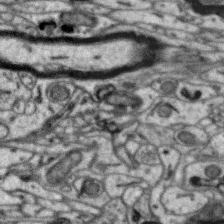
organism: Zebra finch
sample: Brain